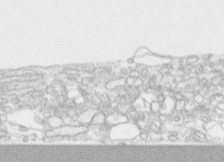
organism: Human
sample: CRL-1474